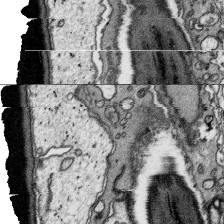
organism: Platynereis dumerilii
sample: Parapodia